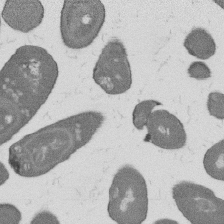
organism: B. subtilis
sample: Bacterial spore